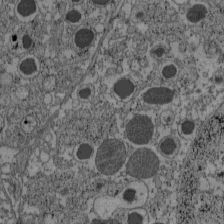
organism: C57BL Mouse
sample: Pancreatic islet